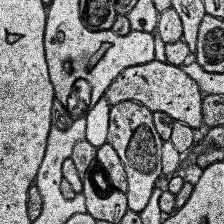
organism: Human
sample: Temporal Lobe